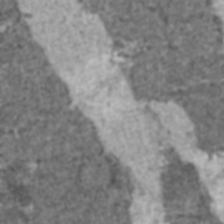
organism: C57BL Mouse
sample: Heart